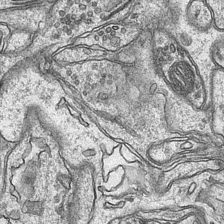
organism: Mouse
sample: CA1 Hippocampus